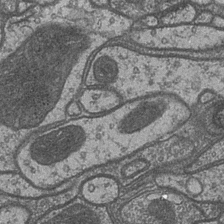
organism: Drosophila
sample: Optic medulla